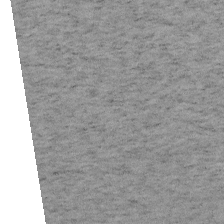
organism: Mouse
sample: OT-I killer T cells with ID8 ovarian cancer cells